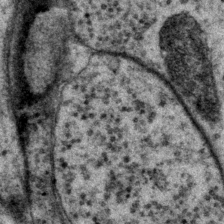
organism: P. pacificus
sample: Pharynx